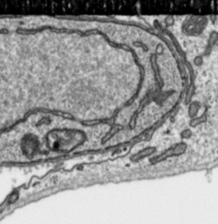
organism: Toxoplasma gondii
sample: Parasites in a vacuole inside a host cell